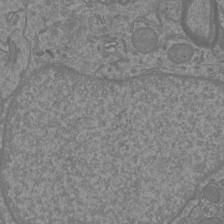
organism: Mouse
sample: Cortical neurons